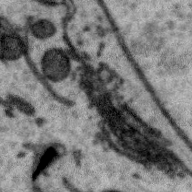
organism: Zebra finch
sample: Brain